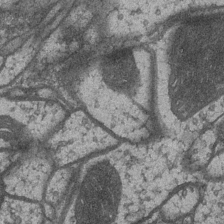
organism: Drosophila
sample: Optic medulla